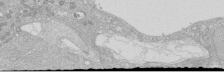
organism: Human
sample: Caco-2 cells